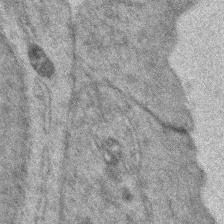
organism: Zebrafish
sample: Zebrafish embryo